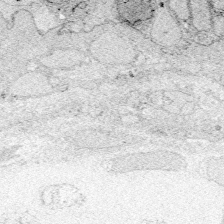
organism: Zebrafish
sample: Whole-Brain